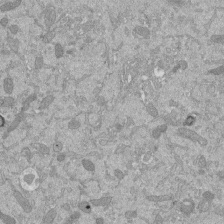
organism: Mouse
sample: ED-1 cell nuclei; centrioles